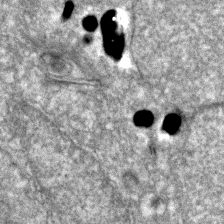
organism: Zebrafish